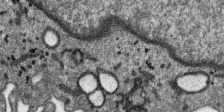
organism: Human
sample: Lung epithelial cells infected with SARS-CoV-2